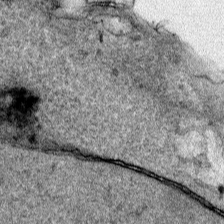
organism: Human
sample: Mitochondria in HCT116 cells